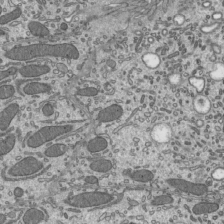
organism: Mouse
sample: Mouse epididymis efferent ductule cilia